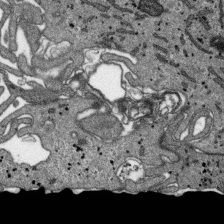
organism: Human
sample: Lung epithelial cells, uninfected (mock) control